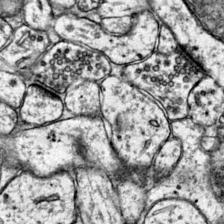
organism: Mouse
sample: Primary visual cortex